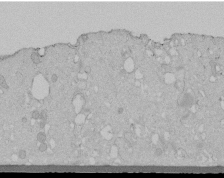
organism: Human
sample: Melanocyte Keratinocyte synapse skin construct